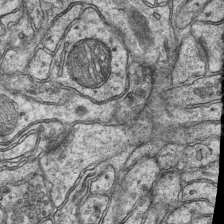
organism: Mouse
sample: CA1 Hippocampus